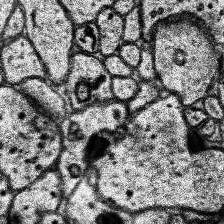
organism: Human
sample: Temporal Lobe